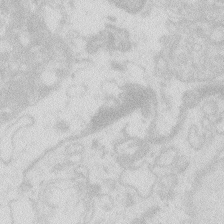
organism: Zebrafish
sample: Macrophage